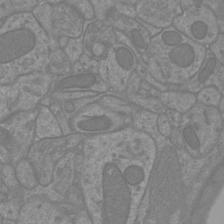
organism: Mouse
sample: Cortical neurons